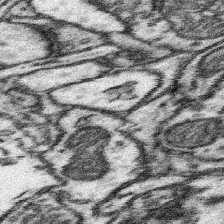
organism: Mouse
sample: Somatosensory cortex neuropil